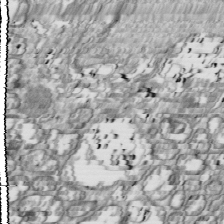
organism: Drosophila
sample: Cell division; meiosis; drosophila spermatocytes